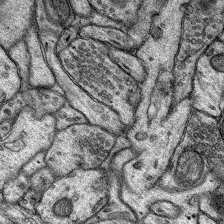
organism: Rat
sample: Hippocampus